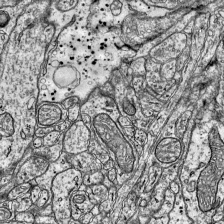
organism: Mouse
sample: Visual Cortex